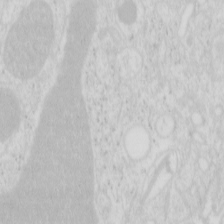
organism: Mouse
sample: Pancreas